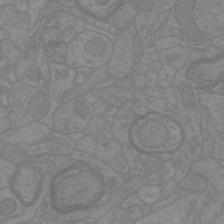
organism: Mouse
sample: Cortical neurons